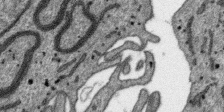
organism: Human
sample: Lung epithelial cells, uninfected (mock) control